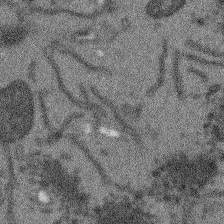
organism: Arabidopsis thaliana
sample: Root tip